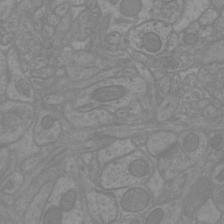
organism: Mouse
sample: Cortical neurons